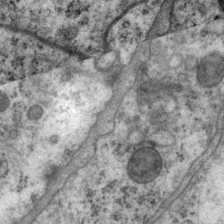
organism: P. pacificus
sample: Pharynx